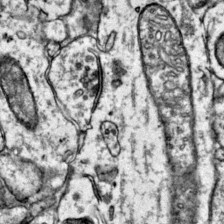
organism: Mouse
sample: Primary visual cortex